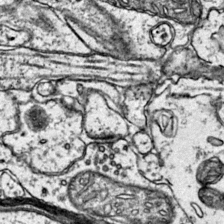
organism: Mouse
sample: Primary visual cortex